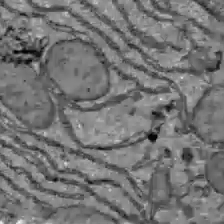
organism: C57BL Mouse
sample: Liver